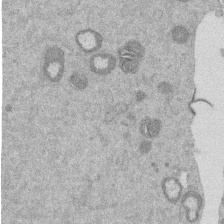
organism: Mouse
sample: Dividing mouse embryo 1 cell stage